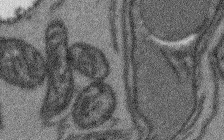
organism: Arabidopsis thaliana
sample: Root tip